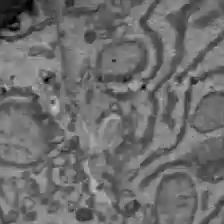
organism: C57BL Mouse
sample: Liver